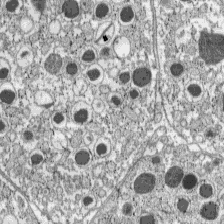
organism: C57BL Mouse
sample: Pancreatic islet